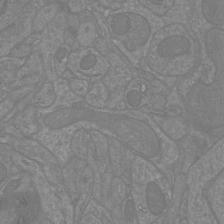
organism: Mouse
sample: Cortical neurons